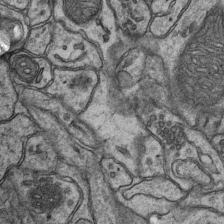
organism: Mouse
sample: CA1 Hippocampus